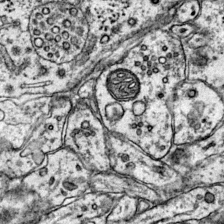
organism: Mouse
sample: Primary visual cortex